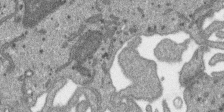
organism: Human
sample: Lung epithelial cells infected with SARS-CoV-2